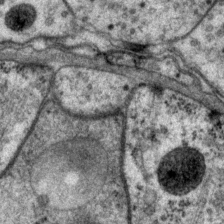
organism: P. pacificus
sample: Pharynx